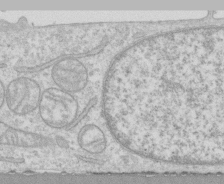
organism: Human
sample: CRL-1474